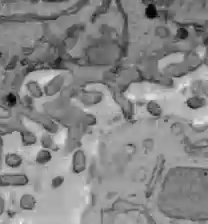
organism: C57BL Mouse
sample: Liver